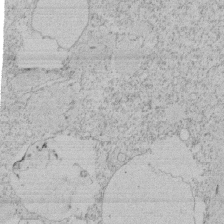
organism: Tetrahymena